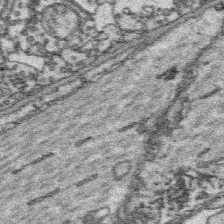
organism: Platynereis dumerilii